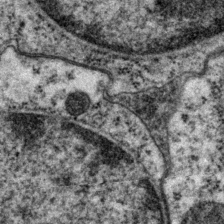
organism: P. pacificus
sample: Pharynx